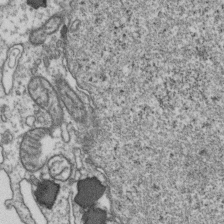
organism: Human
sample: Activated Jurkat CD4+ T cells